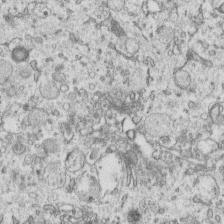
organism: Human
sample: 1205lu cells